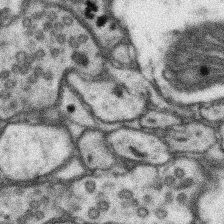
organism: Mouse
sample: Somatosensory cortex neuropil